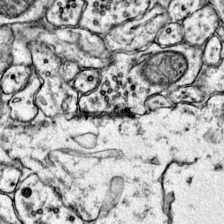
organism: Mouse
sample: Primary visual cortex